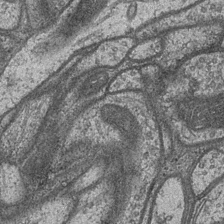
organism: Drosophila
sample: Optic medulla